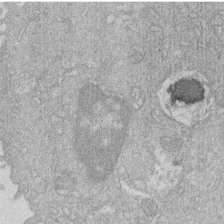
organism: Human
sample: Macrophage cells